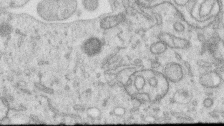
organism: Human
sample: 1205lu cells